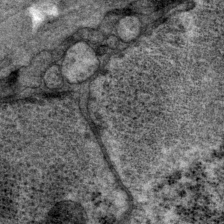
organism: P. pacificus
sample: Pharynx